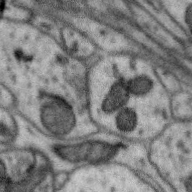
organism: Zebra finch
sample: Brain